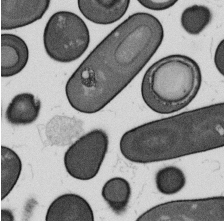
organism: B. subtilis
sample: Bacterial spore